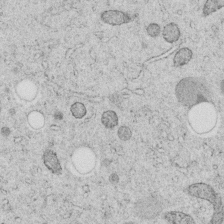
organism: C. elegans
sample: C. elegans embryo early stage